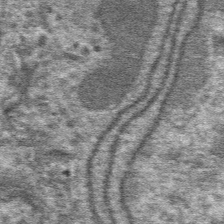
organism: Mouse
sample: Mouse hepatocytes